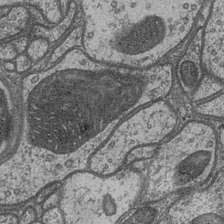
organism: Drosophila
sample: Optic medulla